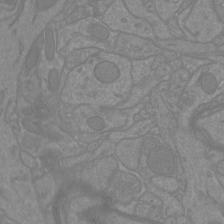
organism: Mouse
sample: Cortical neurons